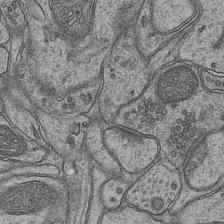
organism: Mouse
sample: CA1 Hippocampus